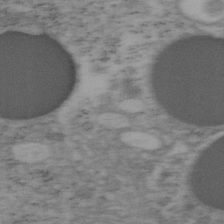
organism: Mouse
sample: OT-I killer T cells with ID8 ovarian cancer cells